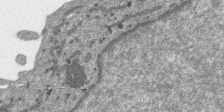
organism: Human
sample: Lung epithelial cells infected with SARS-CoV-2